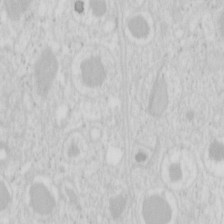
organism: Mouse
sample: Pancreas